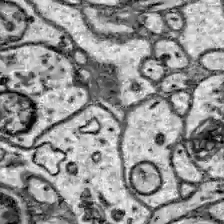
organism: Zebrafish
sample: Brain